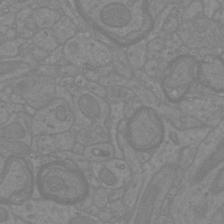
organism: Mouse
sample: Cortical neurons